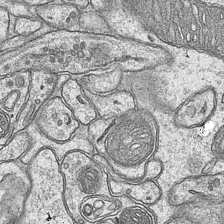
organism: Mouse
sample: CA1 Hippocampus